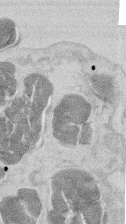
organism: Mouse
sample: T cell stromal cell synapse